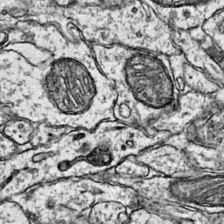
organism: Mouse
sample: Primary visual cortex